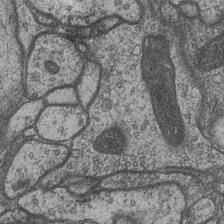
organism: Drosophila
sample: Optic medulla